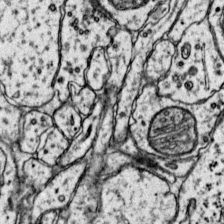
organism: Mouse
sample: Primary visual cortex